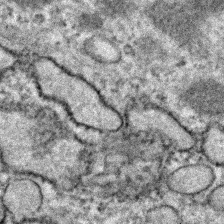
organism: Zebrafish